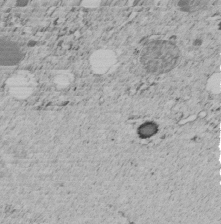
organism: C. elegans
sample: C. elegans embryo early stage